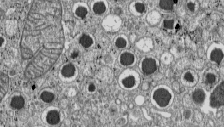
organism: C57BL Mouse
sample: Pancreatic islet